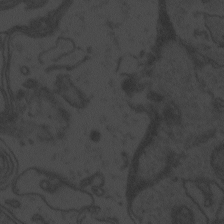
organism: Zebrafish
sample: Macrophage infected with Toxoplasma gondii